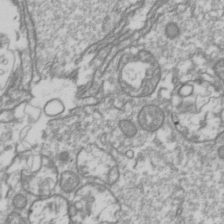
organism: Drosophila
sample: Cell division; meiosis; drosophila spermatocytes